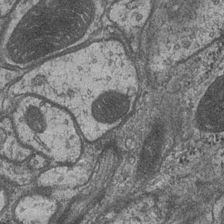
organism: Drosophila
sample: Optic medulla